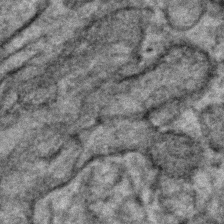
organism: Human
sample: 1205lu cells